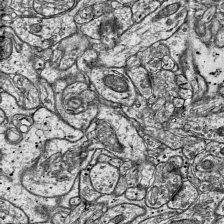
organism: Mouse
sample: Visual Cortex